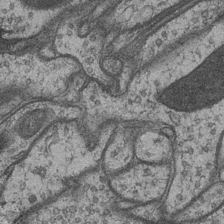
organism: Drosophila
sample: Optic medulla